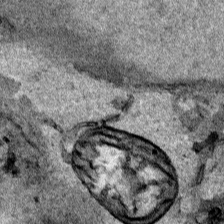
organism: Human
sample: Mitochondria in HCT116 cells